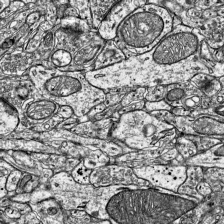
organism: Mouse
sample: Visual Cortex